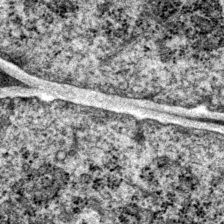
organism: P. pacificus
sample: Pharynx